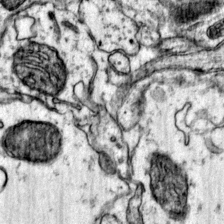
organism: Mouse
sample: Primary visual cortex